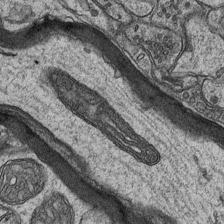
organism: Mouse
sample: CA1 Hippocampus